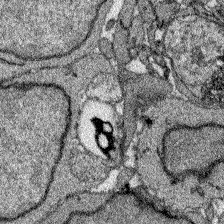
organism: Zebrafish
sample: Larval olfactory bulb